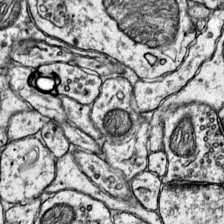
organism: Mouse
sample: Primary visual cortex